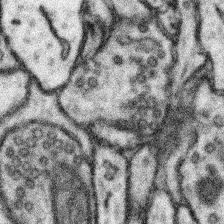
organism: Mouse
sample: Somatosensory cortex neuropil